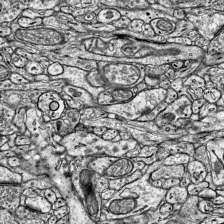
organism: Mouse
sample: Visual Cortex